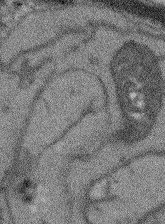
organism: Arabidopsis thaliana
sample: Root tip